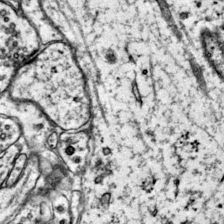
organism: Mouse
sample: Primary visual cortex